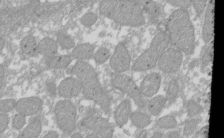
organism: Xenopus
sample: Cilia; centrioles in frog embryo cells